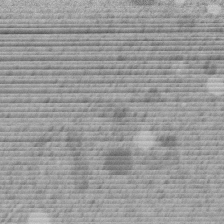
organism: C. elegans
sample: C. elegans embryo early stage